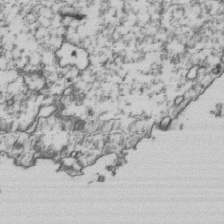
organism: Human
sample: Activated Jurkat CD4+ T cells